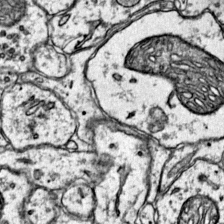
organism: Mouse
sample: Primary visual cortex